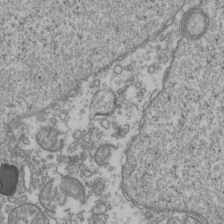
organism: Human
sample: Activated Jurkat CD4+ T cells